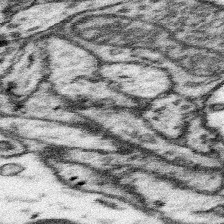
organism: Mouse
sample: Somatosensory cortex neuropil